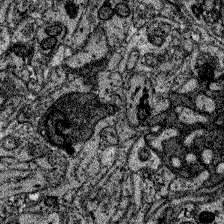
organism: Zebrafish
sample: Larval olfactory bulb